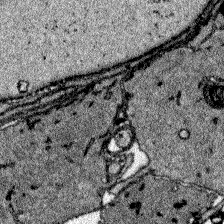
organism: Zebrafish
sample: Larval olfactory bulb